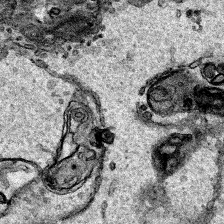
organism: Human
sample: Mitochondria in HCT116 cells